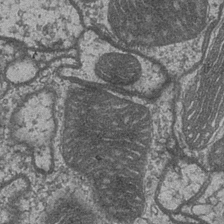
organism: Drosophila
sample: Optic medulla